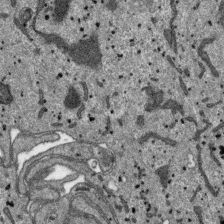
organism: Human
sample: Lung epithelial cells, uninfected (mock) control